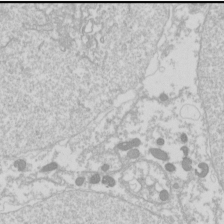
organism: Drosophila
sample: Cell division; meiosis; drosophila spermatocytes